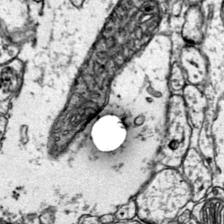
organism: Mouse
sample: Primary visual cortex